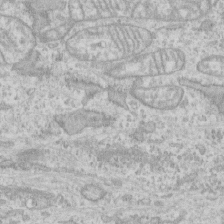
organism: Human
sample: CRL-1474